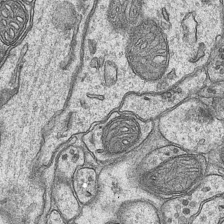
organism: Mouse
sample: CA1 Hippocampus